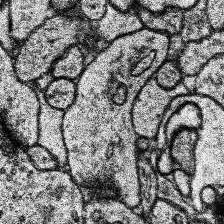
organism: Human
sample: Temporal Lobe